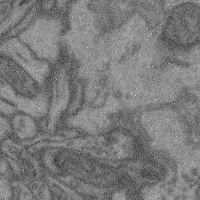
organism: Mouse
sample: Cerebral cortex